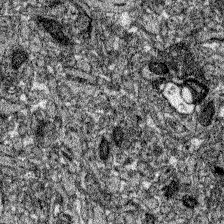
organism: Zebrafish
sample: Larval olfactory bulb